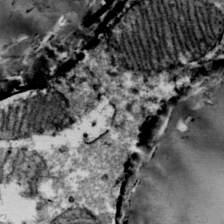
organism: Mouse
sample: Mouse Salivary gland